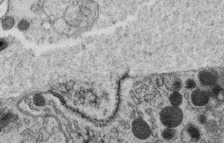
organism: C. elegans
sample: C. elegans oocyte; sperm cells